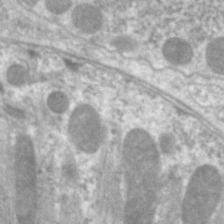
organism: C. elegans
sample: Pharynx